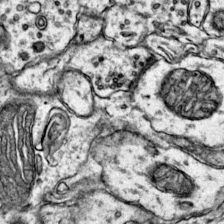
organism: Mouse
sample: Primary visual cortex